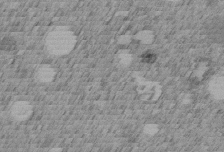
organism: C. elegans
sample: C. elegans embryo early stage